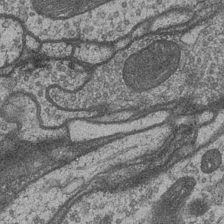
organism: Drosophila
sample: Optic medulla